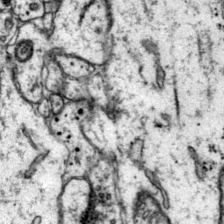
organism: Mouse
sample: Primary visual cortex